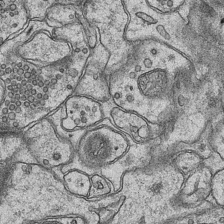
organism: Mouse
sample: CA1 Hippocampus